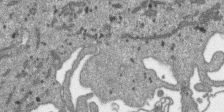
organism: Human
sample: Lung epithelial cells infected with SARS-CoV-2